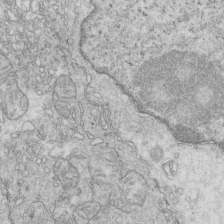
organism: Mouse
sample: Multiciliated cells